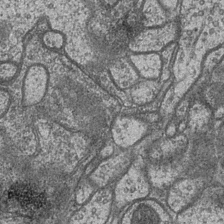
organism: Drosophila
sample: Optic medulla